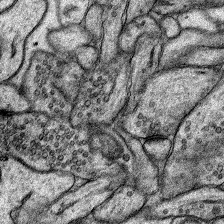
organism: Rat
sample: Hippocampus